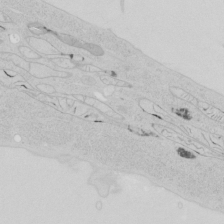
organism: Human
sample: Mitochondria in HCT116 cells